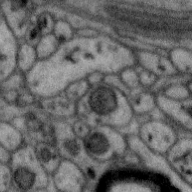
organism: Zebra finch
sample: Brain